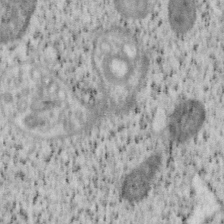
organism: Mouse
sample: OT-I killer T cells with ID8 ovarian cancer cells